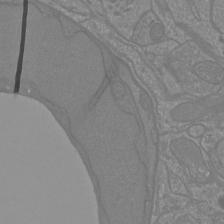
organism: Mouse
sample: Cortical neurons